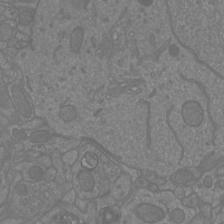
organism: Mouse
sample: Cortical neurons